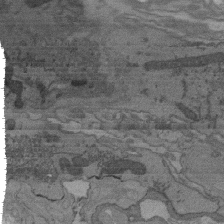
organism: C. elegans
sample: AFD neurons C. elegans